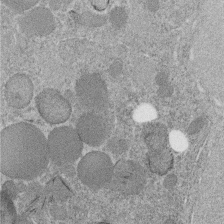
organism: C. elegans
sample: C. elegans embryo early stage